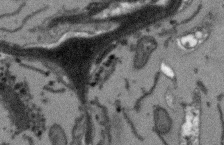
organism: Arabidopsis thaliana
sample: Root tip